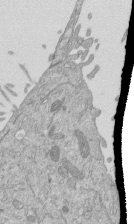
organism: Mouse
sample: ED-1 cell nuclei; centrioles